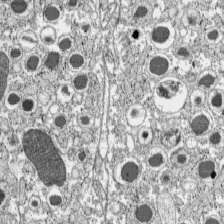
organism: C57BL Mouse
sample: Pancreatic islet